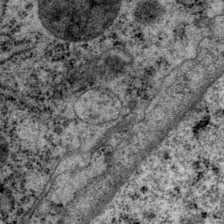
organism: P. pacificus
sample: Pharynx